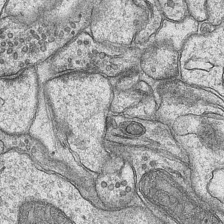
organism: Mouse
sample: CA1 Hippocampus